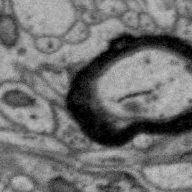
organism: Zebra finch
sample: Brain